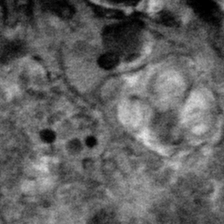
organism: Mouse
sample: Mouse hepatocytes